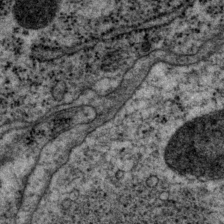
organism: P. pacificus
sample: Pharynx